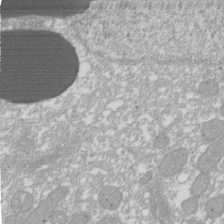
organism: Xenopus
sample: Cilia; centrioles in frog embryo cells